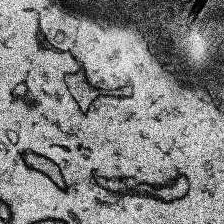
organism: Human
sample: Temporal Lobe